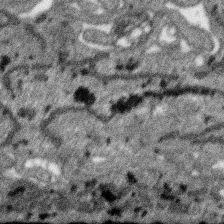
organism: Human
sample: Lung epithelial cells infected with SARS-CoV-2